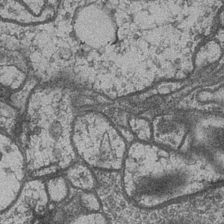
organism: Drosophila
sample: Optic medulla